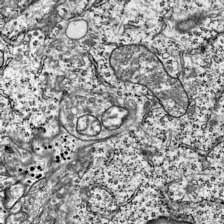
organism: Mouse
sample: Visual Cortex